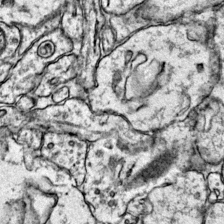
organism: Mouse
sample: Primary visual cortex